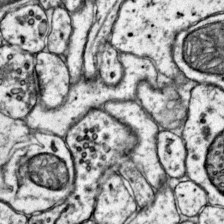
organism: Mouse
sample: Primary visual cortex